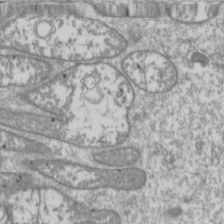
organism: Drosophila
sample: Cell division; meiosis; drosophila spermatocytes